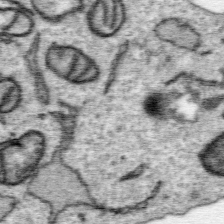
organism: Human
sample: HeLa cells